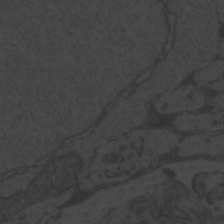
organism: Zebrafish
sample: Macrophage infected with Toxoplasma gondii